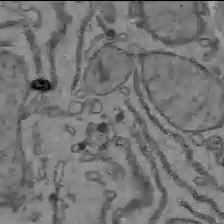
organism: C57BL Mouse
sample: Liver